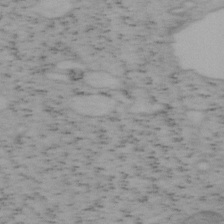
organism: Mouse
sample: OT-I killer T cells with ID8 ovarian cancer cells